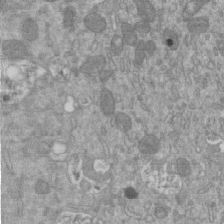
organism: Mouse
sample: ED-1 cell nuclei; centrioles